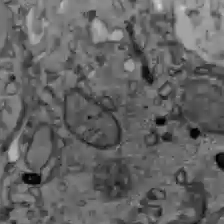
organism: C57BL Mouse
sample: Liver